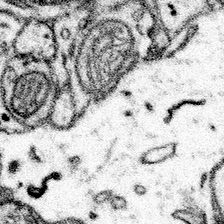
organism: Mouse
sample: Somatosensory cortex neuropil